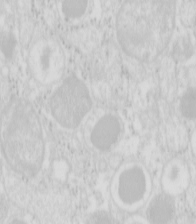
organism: Mouse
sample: Pancreas